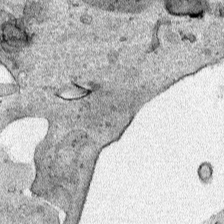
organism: Human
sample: Mitochondria in HCT116 cells